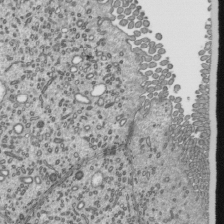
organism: Mouse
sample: Mouse epididymis efferent ductule cilia